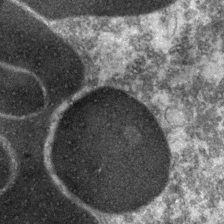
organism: Zebrafish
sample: Zebrafish embryo